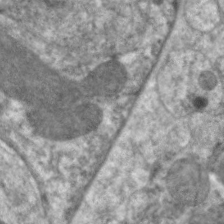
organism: C. elegans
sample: Pharynx